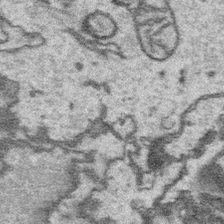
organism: Platynereis dumerilii